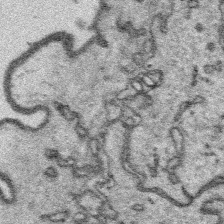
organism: Platynereis dumerilii